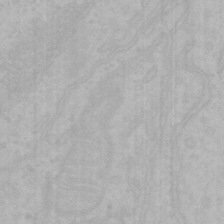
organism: Mouse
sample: Choroid plexus